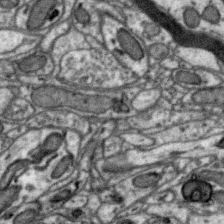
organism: Zebra finch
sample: Brain